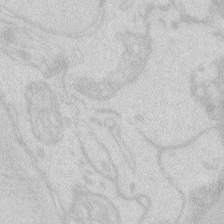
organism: Zebrafish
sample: Macrophage